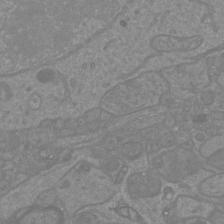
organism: Mouse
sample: Cortical neurons